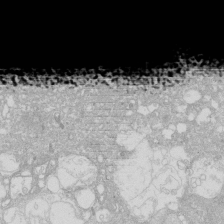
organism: Human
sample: Caco-2 cells